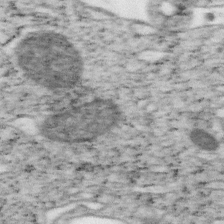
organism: Mouse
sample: OT-I killer T cells with ID8 ovarian cancer cells